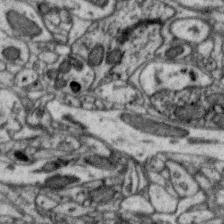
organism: Zebra finch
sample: Brain